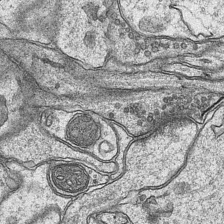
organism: Mouse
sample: CA1 Hippocampus